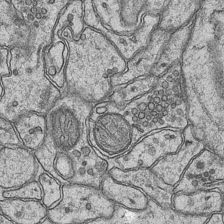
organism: Mouse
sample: CA1 Hippocampus